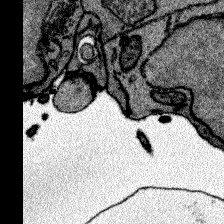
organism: Zebrafish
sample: Larval olfactory bulb